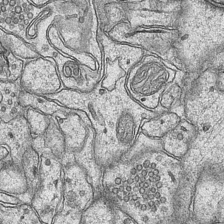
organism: Mouse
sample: CA1 Hippocampus